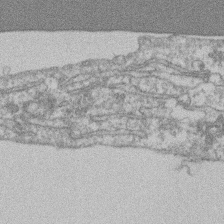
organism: Mouse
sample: T cell stromal cell synapse